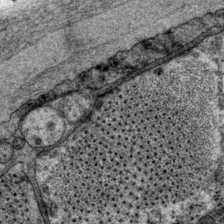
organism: P. pacificus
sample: Pharynx